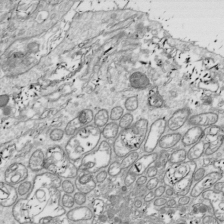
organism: Drosophila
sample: Cell division; meiosis; drosophila spermatocytes